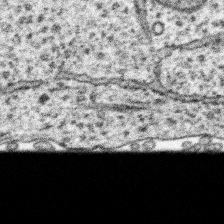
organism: Human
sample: HeLa cells